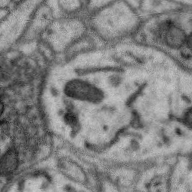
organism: Zebra finch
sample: Brain